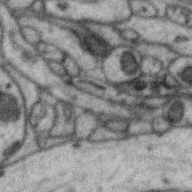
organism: Zebra finch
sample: Brain